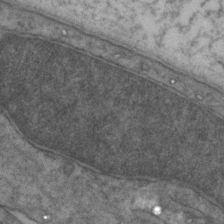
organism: Zebrafish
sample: Zebrafish embryo